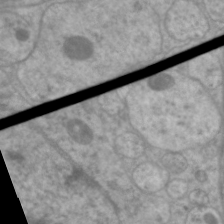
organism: C. elegans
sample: Pharynx